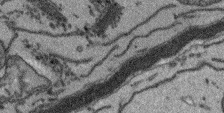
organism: Arabidopsis thaliana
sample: Root tip